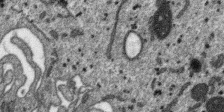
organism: Human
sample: Lung epithelial cells infected with SARS-CoV-2